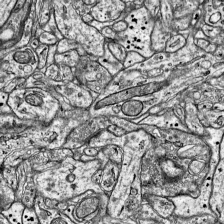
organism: Mouse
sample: Visual Cortex